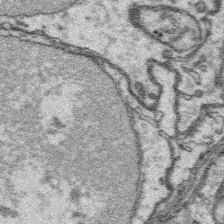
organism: Platynereis dumerilii